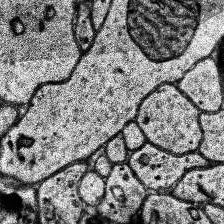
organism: Human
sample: Temporal Lobe